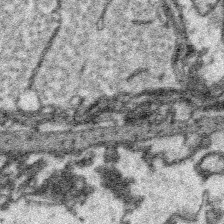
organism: Platynereis dumerilii